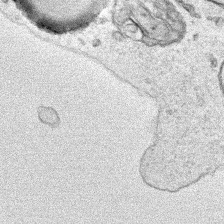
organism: Human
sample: Mitochondria in HCT116 cells